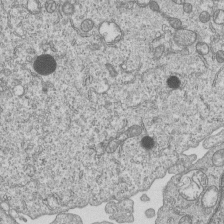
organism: Human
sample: MDA-MB-231 cells